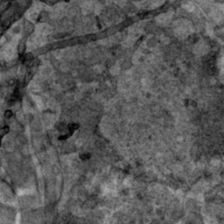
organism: Human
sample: Mitochondria in HCT116 cells